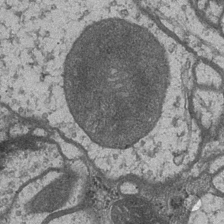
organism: Drosophila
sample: Optic medulla